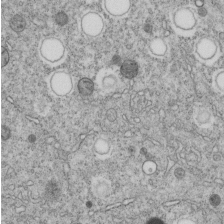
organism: C. elegans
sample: C. elegans embryo early stage